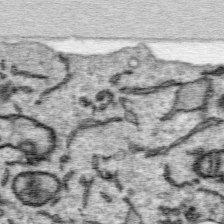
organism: Human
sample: HeLa cells